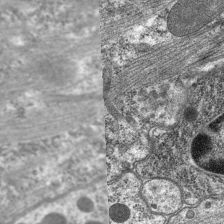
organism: C. elegans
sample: Pharynx